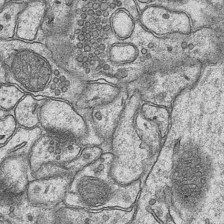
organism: Mouse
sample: CA1 Hippocampus